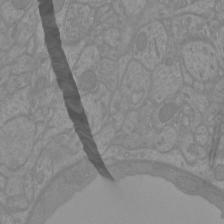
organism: Mouse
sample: Cortical neurons